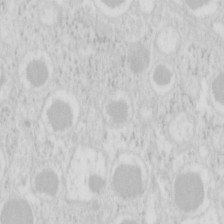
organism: Mouse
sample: Pancreas